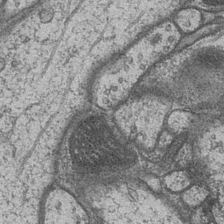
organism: Drosophila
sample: Optic medulla